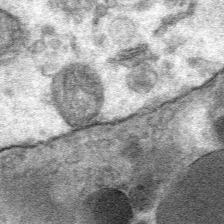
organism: Mouse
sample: Mouse Salivary gland